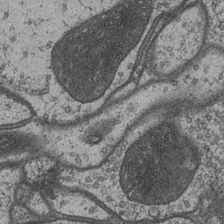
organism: Drosophila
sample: Optic medulla